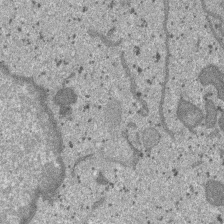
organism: Human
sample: Lung epithelial cells infected with SARS-CoV-2